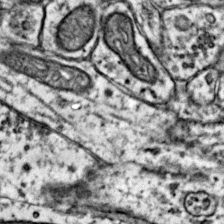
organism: Mouse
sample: Primary visual cortex